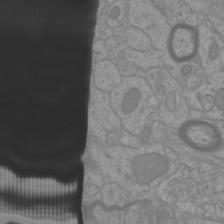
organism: Mouse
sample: Cortical neurons